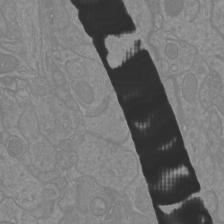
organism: Mouse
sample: Cortical neurons